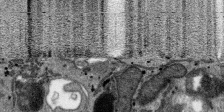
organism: Human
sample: Lung epithelial cells, uninfected (mock) control